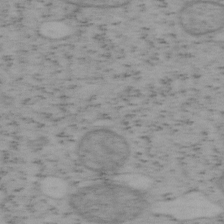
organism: Mouse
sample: OT-I killer T cells with ID8 ovarian cancer cells